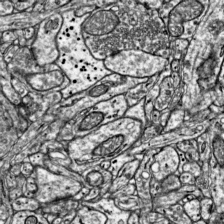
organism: Mouse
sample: Visual Cortex